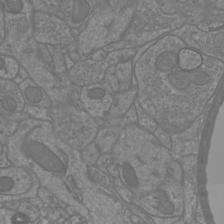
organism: Mouse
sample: Cortical neurons